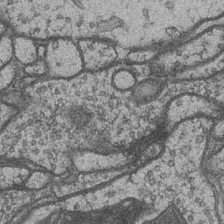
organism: Drosophila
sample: Optic medulla